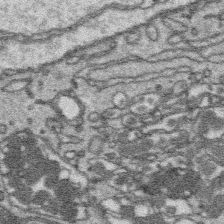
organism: Platynereis dumerilii